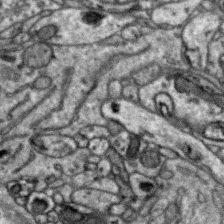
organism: Zebra finch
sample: Brain